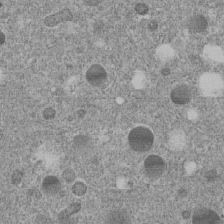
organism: C. elegans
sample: C. elegans embryo early stage